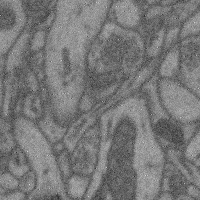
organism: Mouse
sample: Cerebral cortex